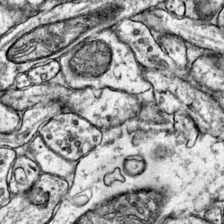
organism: Mouse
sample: Primary visual cortex